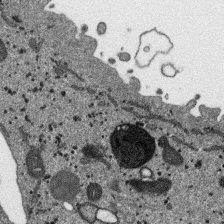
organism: Human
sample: Lung epithelial cells infected with SARS-CoV-2